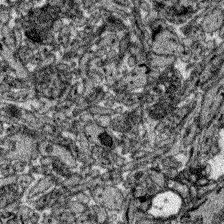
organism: Zebrafish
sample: Larval olfactory bulb